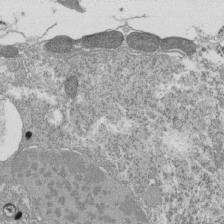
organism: Tetrahymena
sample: Cilia in tetrahymena